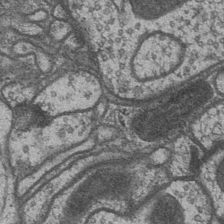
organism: Drosophila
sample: Optic medulla